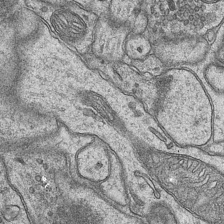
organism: Mouse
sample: CA1 Hippocampus